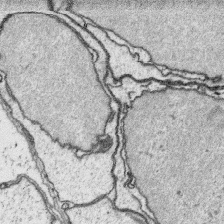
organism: Platynereis dumerilii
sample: Parapodia